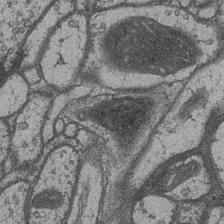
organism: Drosophila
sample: Optic medulla